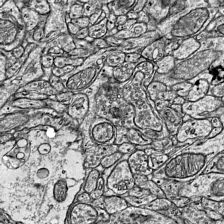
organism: Mouse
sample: Visual Cortex